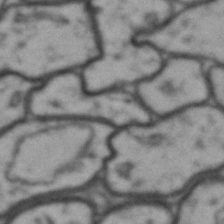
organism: Drosophila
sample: Brain